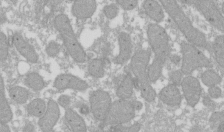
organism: Xenopus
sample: Cilia; centrioles in frog embryo cells